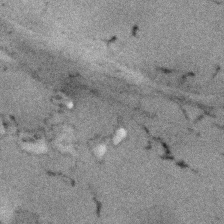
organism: Human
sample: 1205lu cells